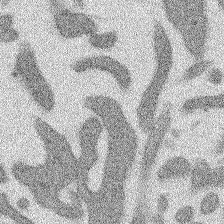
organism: Human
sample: HeLa cells